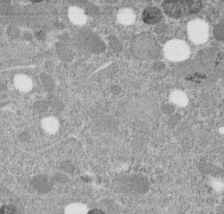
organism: C. elegans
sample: C. elegans embryo early stage